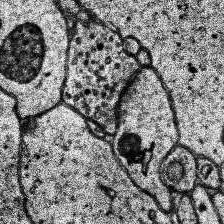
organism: Human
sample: Temporal Lobe